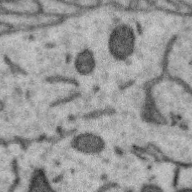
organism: Zebra finch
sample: Brain